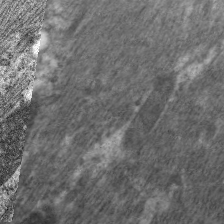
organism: C. elegans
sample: Pharynx